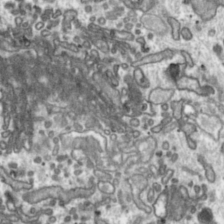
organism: Toxoplasma gondii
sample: Parasites in a vacuole inside a host cell